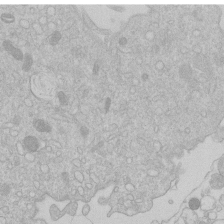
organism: Human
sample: Macrophage cells